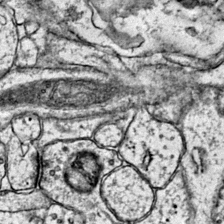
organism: Mouse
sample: Primary visual cortex